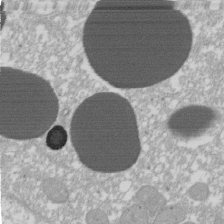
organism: Xenopus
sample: Cilia; centrioles in frog embryo cells